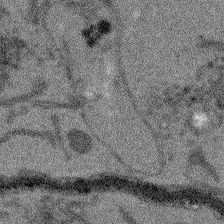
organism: Arabidopsis thaliana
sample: Root tip